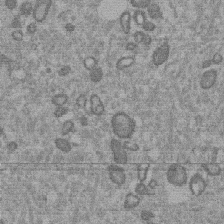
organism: Mouse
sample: Dividing mouse embryo 1 cell stage